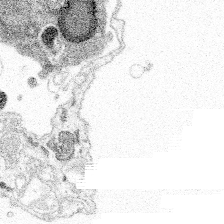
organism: Spongilla lacustris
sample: Multiple